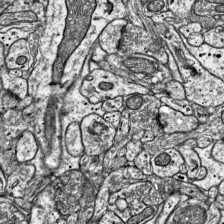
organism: Mouse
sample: Visual Cortex